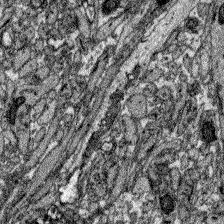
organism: Zebrafish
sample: Larval olfactory bulb